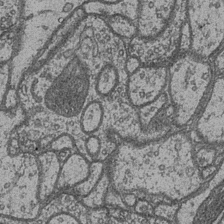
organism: Drosophila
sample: Optic medulla